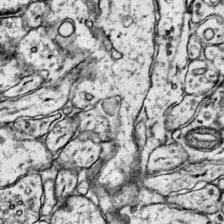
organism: Mouse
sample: Primary visual cortex